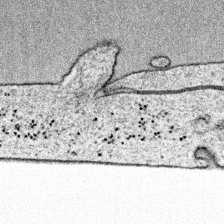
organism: Human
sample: HeLa cells